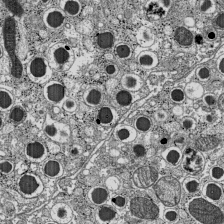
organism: C57BL Mouse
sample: Pancreatic islet